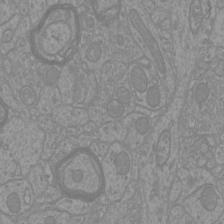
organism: Mouse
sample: Cortical neurons